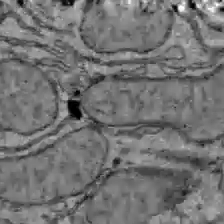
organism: C57BL Mouse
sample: Liver